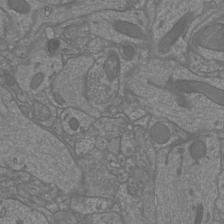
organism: Mouse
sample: Cortical neurons